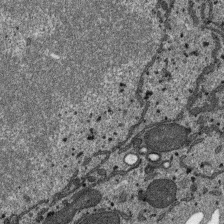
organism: Human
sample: Lung epithelial cells infected with SARS-CoV-2